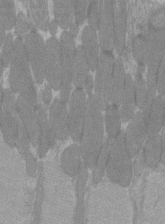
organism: C57BL Mouse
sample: Tibialis anterior muscle cell